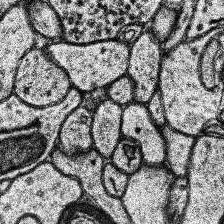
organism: Human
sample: Temporal Lobe